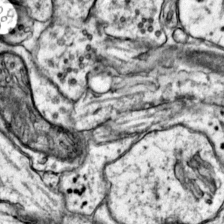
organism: Mouse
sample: Primary visual cortex